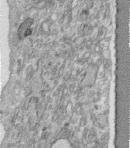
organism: Human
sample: Centriole in fibroblast cells